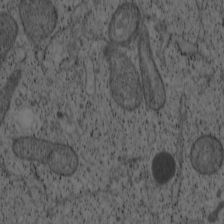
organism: African green monkey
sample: COS-7 cells